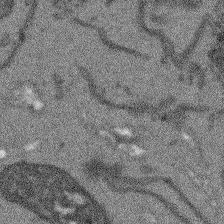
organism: Arabidopsis thaliana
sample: Root tip